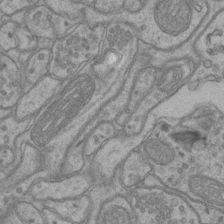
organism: Mouse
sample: CA1 Hippocampus